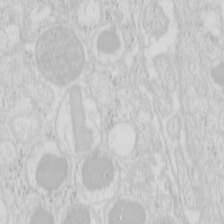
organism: Mouse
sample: Pancreas